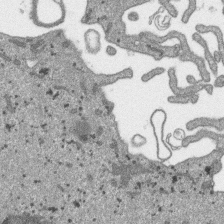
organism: Human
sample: Lung epithelial cells infected with SARS-CoV-2